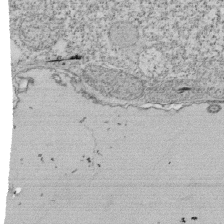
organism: Tetrahymena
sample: Cilia in tetrahymena